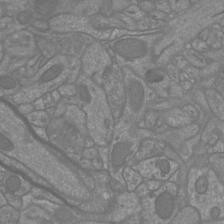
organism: Mouse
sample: Cortical neurons